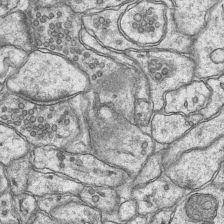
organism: Mouse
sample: CA1 Hippocampus